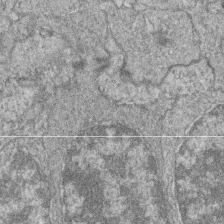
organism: Zebrafish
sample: Cilia; retinal pigment epithelium